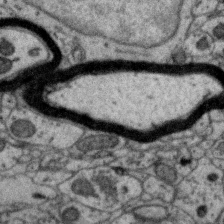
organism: Zebra finch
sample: Brain